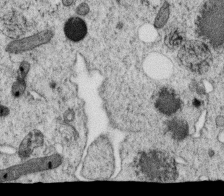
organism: C. elegans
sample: C. elegans oocyte; sperm cells